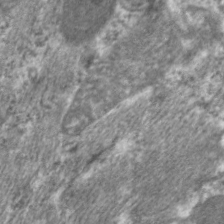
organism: C. elegans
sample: Pharynx